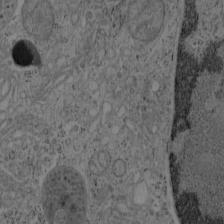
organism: Mouse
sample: OT-I killer T cells with ID8 ovarian cancer cells